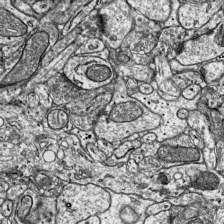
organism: Mouse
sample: Visual Cortex